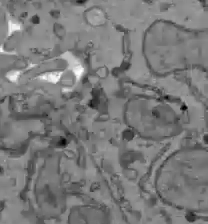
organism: C57BL Mouse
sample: Liver